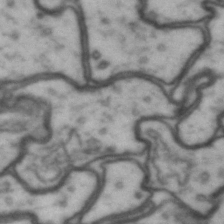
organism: Drosophila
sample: Brain